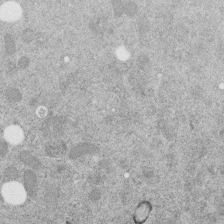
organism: C. elegans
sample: C. elegans embryo early stage